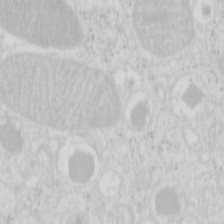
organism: Mouse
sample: Pancreas